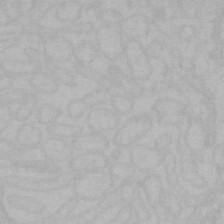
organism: Mouse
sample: Choroid plexus